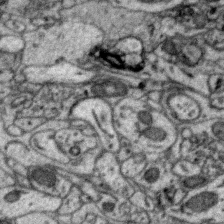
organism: Zebra finch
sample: Brain